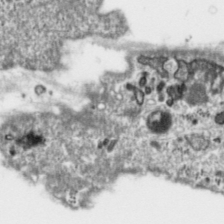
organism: Toxoplasma gondii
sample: Parasites in a vacuole inside a host cell